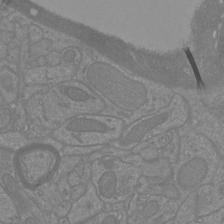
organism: Mouse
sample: Cortical neurons